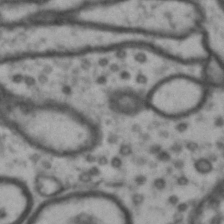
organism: Drosophila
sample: Brain